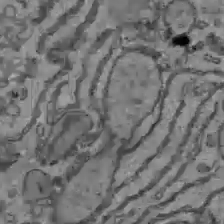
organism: C57BL Mouse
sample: Liver